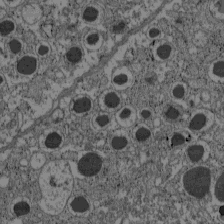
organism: C57BL Mouse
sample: Pancreatic islet